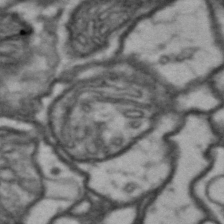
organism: Drosophila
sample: Brain